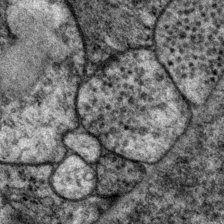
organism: P. pacificus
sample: Pharynx